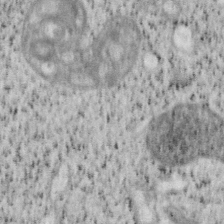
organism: Mouse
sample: OT-I killer T cells with ID8 ovarian cancer cells